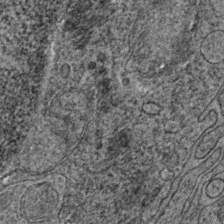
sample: Trachea